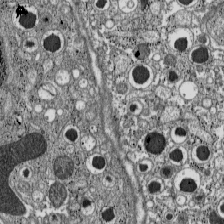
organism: C57BL Mouse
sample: Pancreatic islet